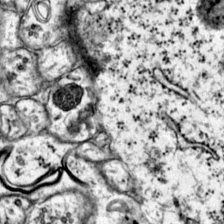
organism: Mouse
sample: Primary visual cortex